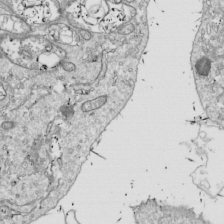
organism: Drosophila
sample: Cell division; meiosis; drosophila spermatocytes